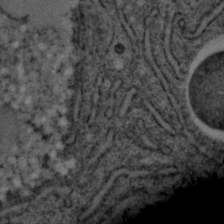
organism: C. elegans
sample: C. elegans embryo